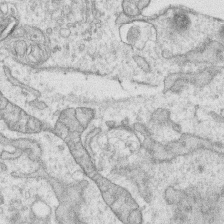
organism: Human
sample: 1205lu cells